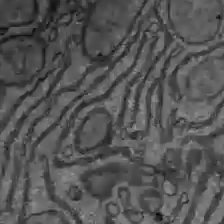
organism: C57BL Mouse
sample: Liver